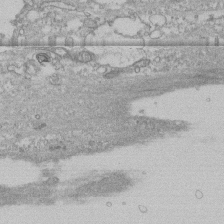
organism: Human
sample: CRL-1474